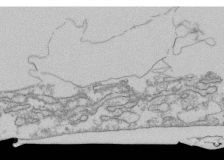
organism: Human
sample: Fibroblast cells